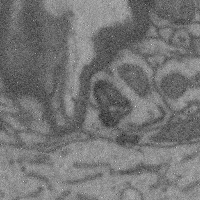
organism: Mouse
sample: Cerebral cortex